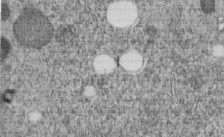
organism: C. elegans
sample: C. elegans embryo early stage